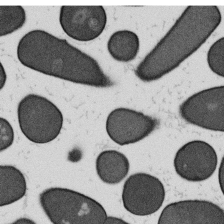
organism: B. subtilis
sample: Bacterial spore